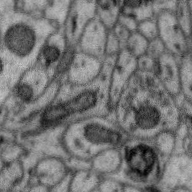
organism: Zebra finch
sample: Brain